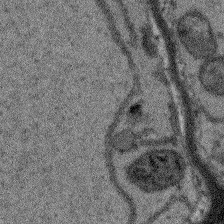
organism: Arabidopsis thaliana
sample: Root tip